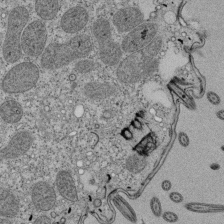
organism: Tetrahymena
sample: Cilia in tetrahymena